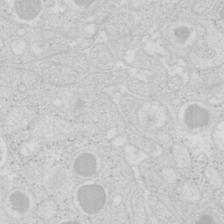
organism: Mouse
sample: Pancreas